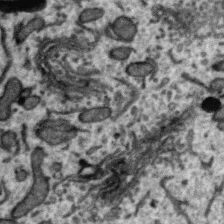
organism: Zebra finch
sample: Brain